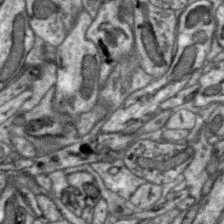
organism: Zebra finch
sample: Brain